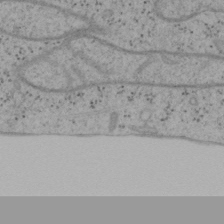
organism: Human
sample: HeLa cells